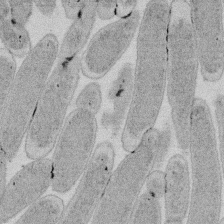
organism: E. coli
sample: Bacterial nucleoid